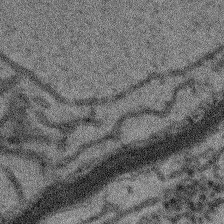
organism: Arabidopsis thaliana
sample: Root tip